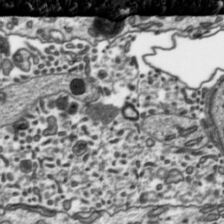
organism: Toxoplasma gondii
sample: Parasites in a vacuole inside a host cell